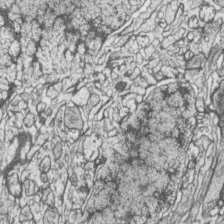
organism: Zebrafish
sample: synaptic ribbons in rod cells and cone cells